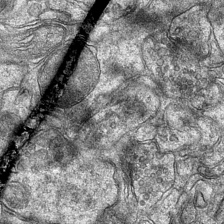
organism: Mouse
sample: CA1 Hippocampus